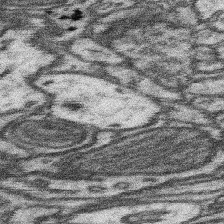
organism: Mouse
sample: Somatosensory cortex neuropil